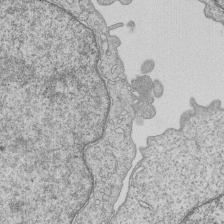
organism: Human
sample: MDA-MB-231 cells